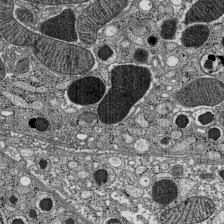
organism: C57BL Mouse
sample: Pancreatic islet